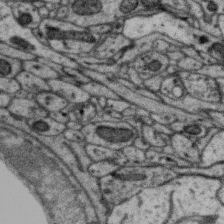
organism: Zebra finch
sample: Brain